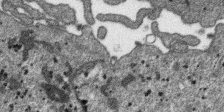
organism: Human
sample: Lung epithelial cells infected with SARS-CoV-2